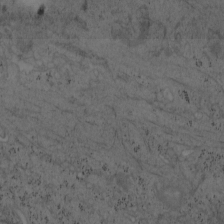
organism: Mouse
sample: OT-I killer T cells with ID8 ovarian cancer cells